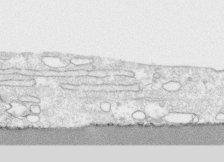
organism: Human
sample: CRL-1474